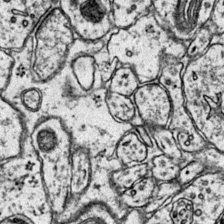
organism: Mouse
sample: Primary visual cortex